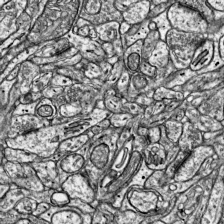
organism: Mouse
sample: Visual Cortex